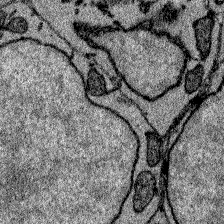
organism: Zebrafish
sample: Larval olfactory bulb